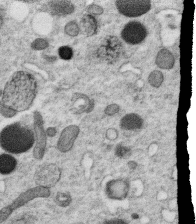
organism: C. elegans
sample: C. elegans oocyte; sperm cells